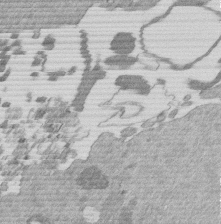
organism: Mouse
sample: Dividing mouse embryo 1 cell stage